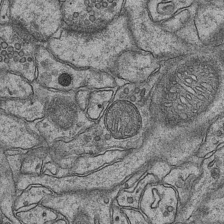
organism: Mouse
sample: CA1 Hippocampus